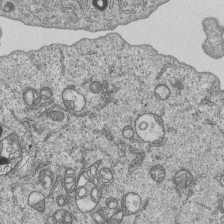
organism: Human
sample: MDA-MB-231 cells